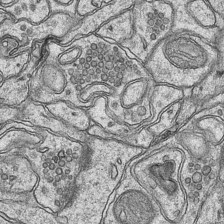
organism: Mouse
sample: CA1 Hippocampus